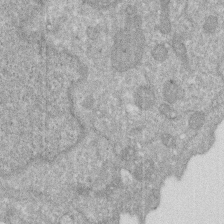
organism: Human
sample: HIV infected U937 cells